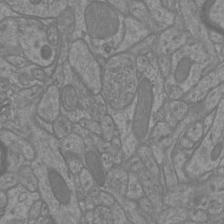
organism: Mouse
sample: Cortical neurons